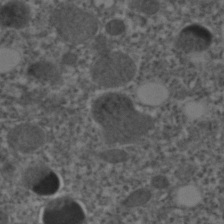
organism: C. elegans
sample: C. elegans embryo